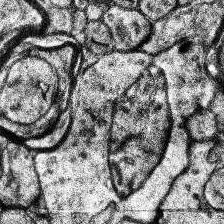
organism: Human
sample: Temporal Lobe